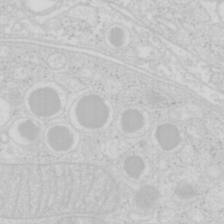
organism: Mouse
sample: Pancreas